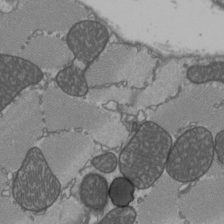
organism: C57BL Mouse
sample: Heart